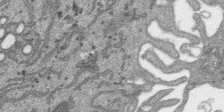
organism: Human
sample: Lung epithelial cells infected with SARS-CoV-2